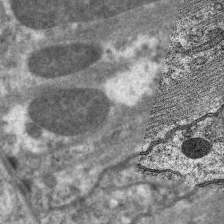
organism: C. elegans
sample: Pharynx